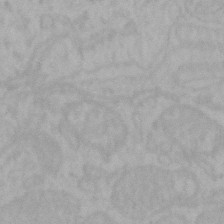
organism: Mouse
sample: Choroid plexus